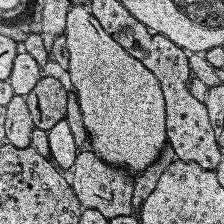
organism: Human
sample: Temporal Lobe